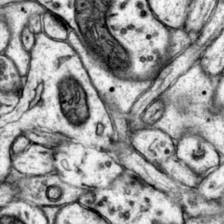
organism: Mouse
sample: Primary visual cortex